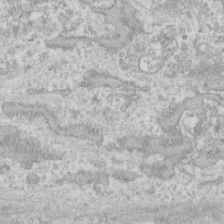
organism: Human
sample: Fibroblast cells